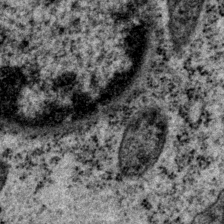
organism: P. pacificus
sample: Pharynx